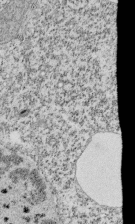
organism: Tetrahymena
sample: Cilia in tetrahymena